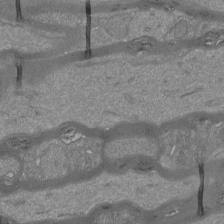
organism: Mouse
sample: Cortical neurons